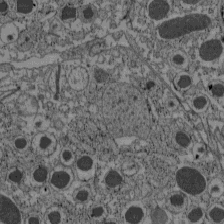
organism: C57BL Mouse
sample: Pancreatic islet